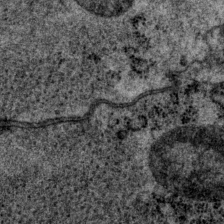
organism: P. pacificus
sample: Pharynx